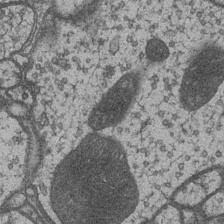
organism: Drosophila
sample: Optic medulla